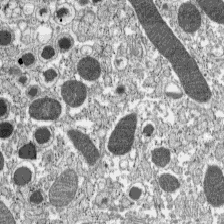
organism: C57BL Mouse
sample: Pancreatic islet